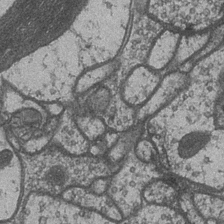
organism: Drosophila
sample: Optic medulla